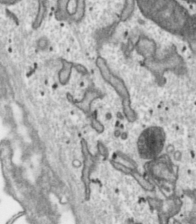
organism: Toxoplasma gondii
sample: Parasites in a vacuole inside a host cell